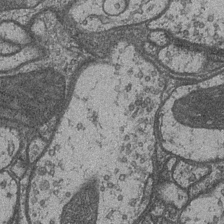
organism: Drosophila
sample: Optic medulla